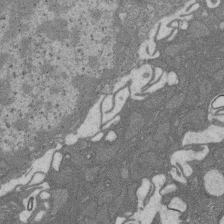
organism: Rat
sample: Salivary granule